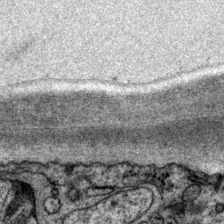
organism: P. pacificus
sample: Pharynx